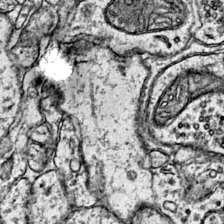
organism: Mouse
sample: Primary visual cortex